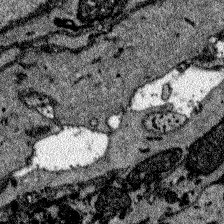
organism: Zebrafish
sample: Larval olfactory bulb